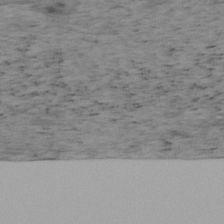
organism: Mouse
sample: OT-I killer T cells with ID8 ovarian cancer cells